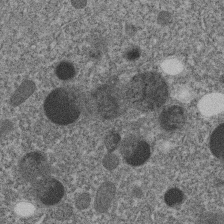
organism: C. elegans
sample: C. elegans embryo early stage